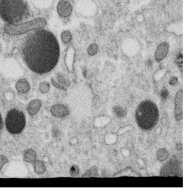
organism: C. elegans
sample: C. elegans oocyte; sperm cells